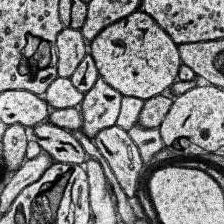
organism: Human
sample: Temporal Lobe